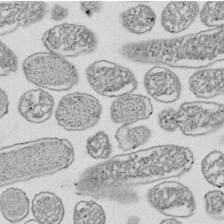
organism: E. coli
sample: Bacterial nucleoid